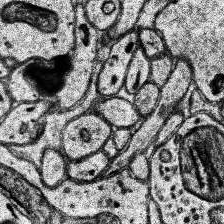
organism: Human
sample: Temporal Lobe